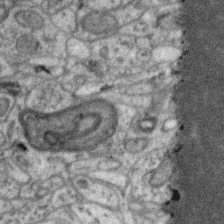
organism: Zebra finch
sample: Brain